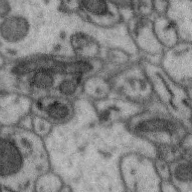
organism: Zebra finch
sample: Brain